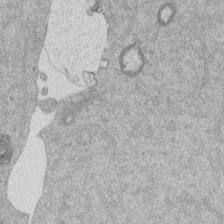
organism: Mouse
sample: Dividing mouse embryo 1 cell stage